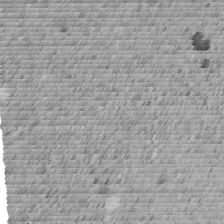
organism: C. elegans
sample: C. elegans embryo early stage